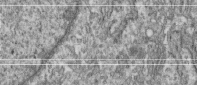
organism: Human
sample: Centriole in fibroblast cells